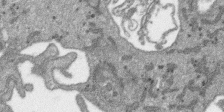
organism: Human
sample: Lung epithelial cells infected with SARS-CoV-2